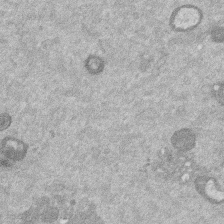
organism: Mouse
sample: Dividing mouse embryo 1 cell stage